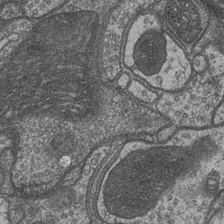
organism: Drosophila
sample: Optic medulla